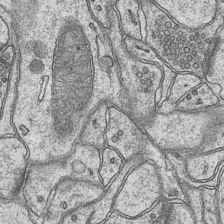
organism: Mouse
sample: CA1 Hippocampus